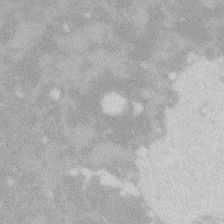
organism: Zebrafish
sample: Macrophage